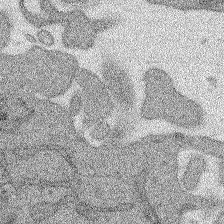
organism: Human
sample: HeLa cells